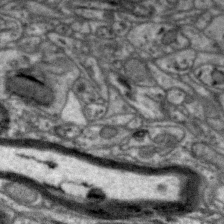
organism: Zebra finch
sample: Brain